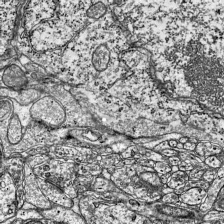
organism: Mouse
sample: Visual Cortex